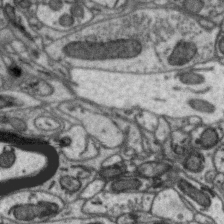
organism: Zebra finch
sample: Brain